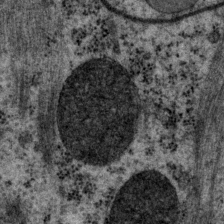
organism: P. pacificus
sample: Pharynx